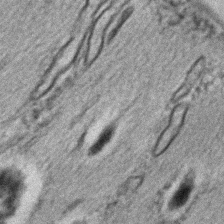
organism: C. elegans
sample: C. elegans embryo